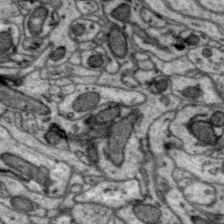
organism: Zebra finch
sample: Brain